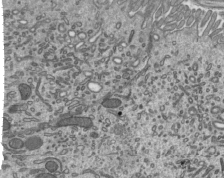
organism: Mouse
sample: Mouse epididymis efferent ductule cilia